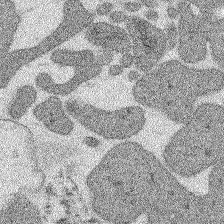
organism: Human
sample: HeLa cells